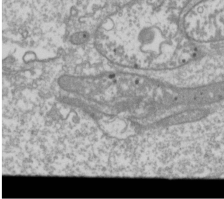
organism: Drosophila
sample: Cell division; meiosis; drosophila spermatocytes